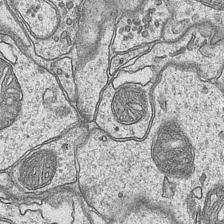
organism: Mouse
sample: CA1 Hippocampus